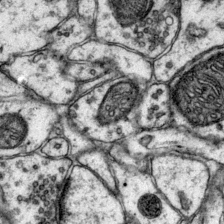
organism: Mouse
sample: Primary visual cortex